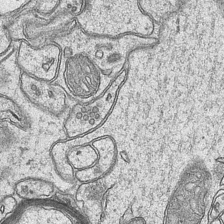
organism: Mouse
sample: CA1 Hippocampus